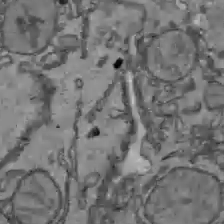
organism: C57BL Mouse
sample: Liver